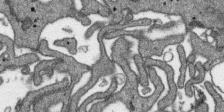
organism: Human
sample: Lung epithelial cells, uninfected (mock) control